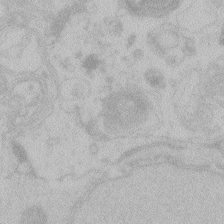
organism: Zebrafish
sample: Macrophage infected with Toxoplasma gondii